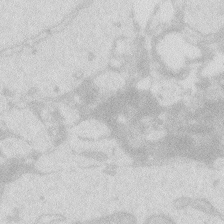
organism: Zebrafish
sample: Macrophage